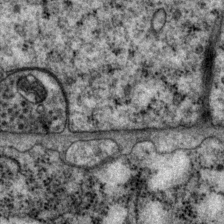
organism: P. pacificus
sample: Pharynx